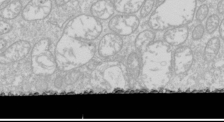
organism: Drosophila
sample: Cell division; meiosis; drosophila spermatocytes